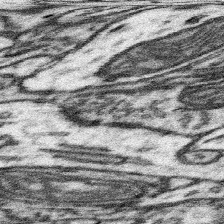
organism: Mouse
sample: Somatosensory cortex neuropil